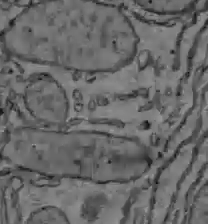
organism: C57BL Mouse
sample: Liver